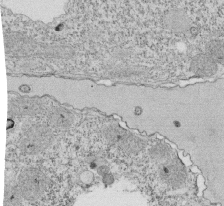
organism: Tetrahymena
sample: Cilia in tetrahymena